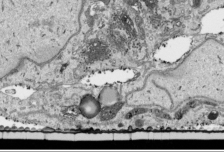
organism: Human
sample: Mitochondria in HCT116 cells